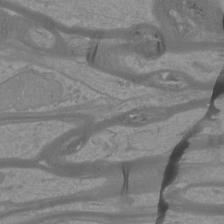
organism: Mouse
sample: Cortical neurons